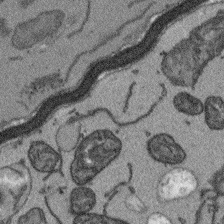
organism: Arabidopsis thaliana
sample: Root tip